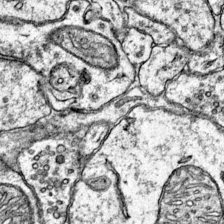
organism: Mouse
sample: Primary visual cortex